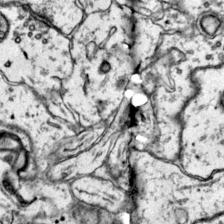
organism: Mouse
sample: Primary visual cortex